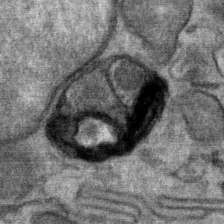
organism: Mouse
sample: Mouse Salivary gland